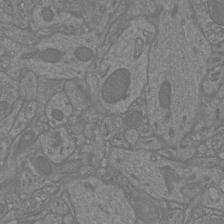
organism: Mouse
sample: Cortical neurons